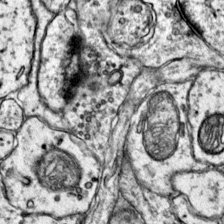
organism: Mouse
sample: Primary visual cortex